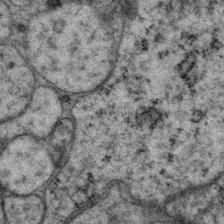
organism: P. pacificus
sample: Pharynx